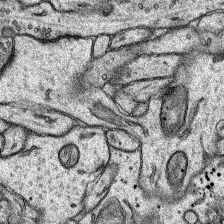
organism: Rat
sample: Hippocampus